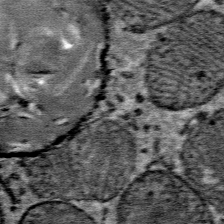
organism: Mouse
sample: Mouse Salivary gland